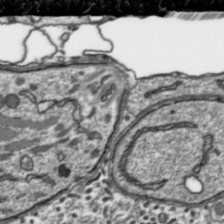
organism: Toxoplasma gondii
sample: Parasites in a vacuole inside a host cell